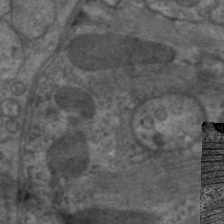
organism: C. elegans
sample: Pharynx